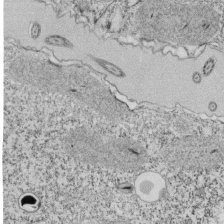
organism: Tetrahymena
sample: Cilia in tetrahymena